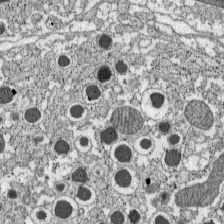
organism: C57BL Mouse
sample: Pancreatic islet